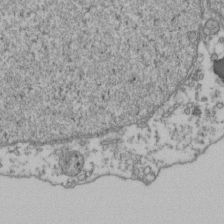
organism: Human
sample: Activated Jurkat CD4+ T cells